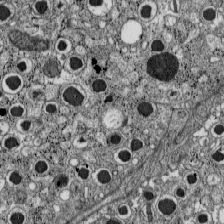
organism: C57BL Mouse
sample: Pancreatic islet